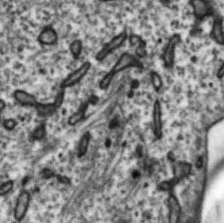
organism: Human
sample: HeLa cells